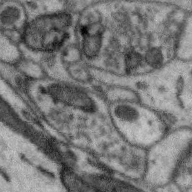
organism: Zebra finch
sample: Brain